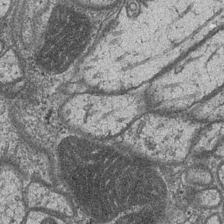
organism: Drosophila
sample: Optic medulla